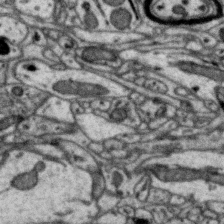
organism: Zebra finch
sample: Brain